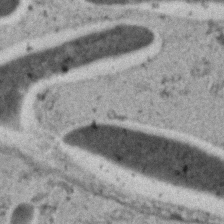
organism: C. elegans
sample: C. elegans embryo